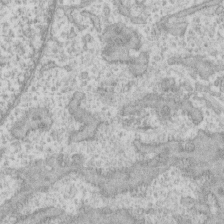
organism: Human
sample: CRL-1474